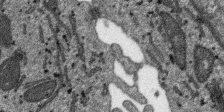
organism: Human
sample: Lung epithelial cells infected with SARS-CoV-2